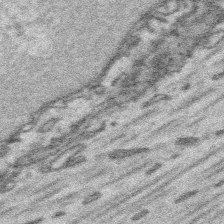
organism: Platynereis dumerilii